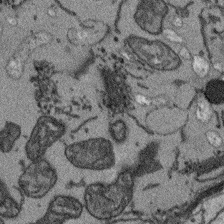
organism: Arabidopsis thaliana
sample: Root tip